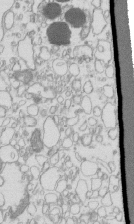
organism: Mouse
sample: Macrophages